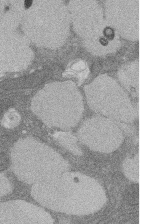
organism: Rat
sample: Salivary granule